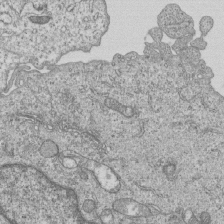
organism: Human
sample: MDA-MB-231 cells